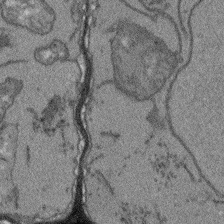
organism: Arabidopsis thaliana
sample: Root tip